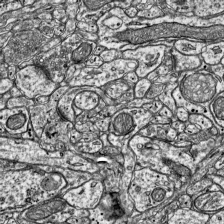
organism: Mouse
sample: Visual Cortex